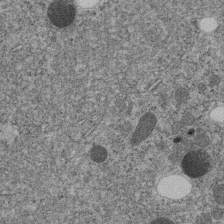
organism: C. elegans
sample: C. elegans embryo early stage